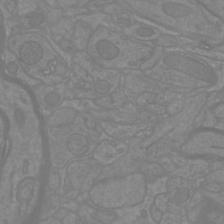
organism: Mouse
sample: Cortical neurons